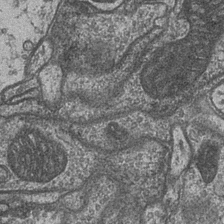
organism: Drosophila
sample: Optic medulla